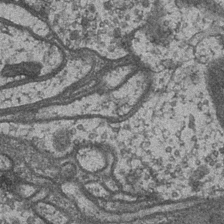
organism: Drosophila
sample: Optic medulla